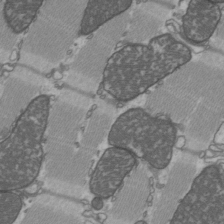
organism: C57BL Mouse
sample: Heart